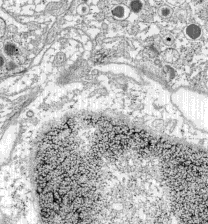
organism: C57BL Mouse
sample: Pancreatic islet